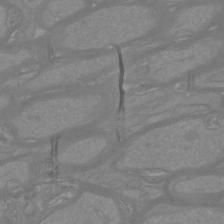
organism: Mouse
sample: Cortical neurons